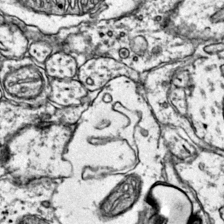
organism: Mouse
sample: Primary visual cortex